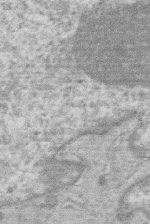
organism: Human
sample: Macrophage cells